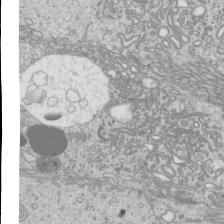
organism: Mouse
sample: Cilia; mouse epididymis